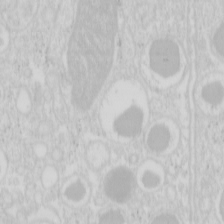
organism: Mouse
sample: Pancreas